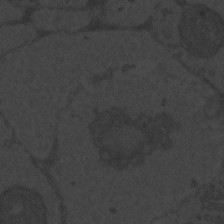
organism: Zebrafish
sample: Macrophage infected with Toxoplasma gondii